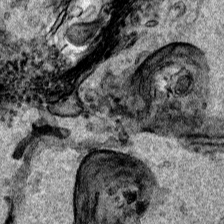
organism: Human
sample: Mitochondria in HCT116 cells